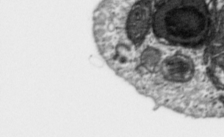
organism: Toxoplasma gondii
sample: Parasites in a vacuole inside a host cell